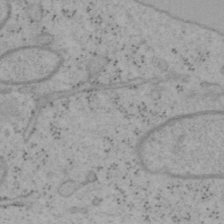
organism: Human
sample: HeLa cells